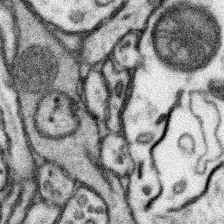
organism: Mouse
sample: Somatosensory cortex neuropil